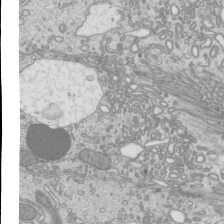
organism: Mouse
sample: Cilia; mouse epididymis